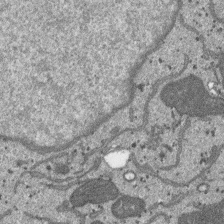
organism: Human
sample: Lung epithelial cells infected with SARS-CoV-2